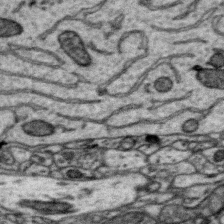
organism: Zebra finch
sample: Brain